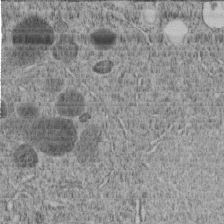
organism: C. elegans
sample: C. elegans embryo early stage